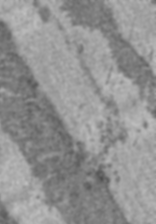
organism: C57BL Mouse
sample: Heart